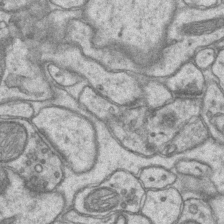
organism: Mouse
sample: CA1 Hippocampus